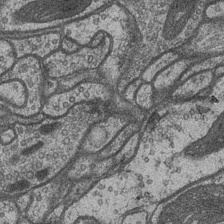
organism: Drosophila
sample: Optic medulla